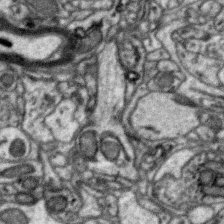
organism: Zebra finch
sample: Brain